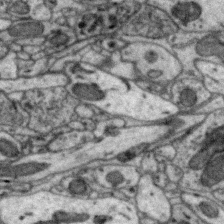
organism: Zebra finch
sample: Brain